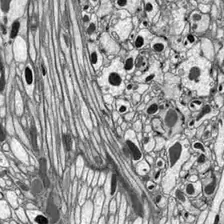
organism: Drosophila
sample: Optic lobe